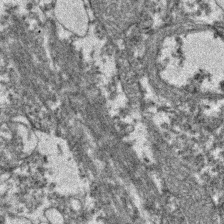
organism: Zebrafish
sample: Zebrafish embryo